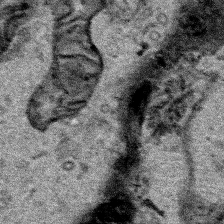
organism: Human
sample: Mitochondria in HCT116 cells